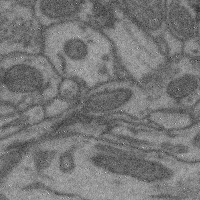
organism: Mouse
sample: Cerebral cortex